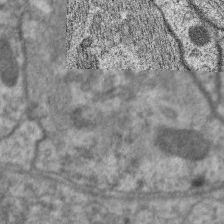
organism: C. elegans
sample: Pharynx